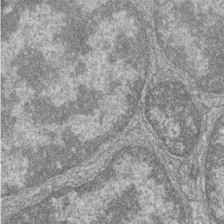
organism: Zebrafish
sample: Cilia; retinal pigment epithelium